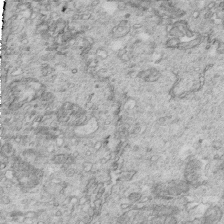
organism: Mouse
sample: Multiciliated cells